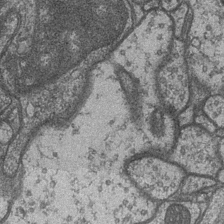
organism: Drosophila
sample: Optic medulla